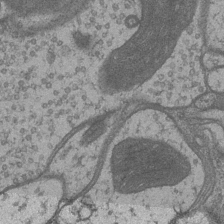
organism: Drosophila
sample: Optic medulla